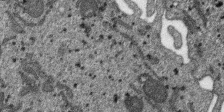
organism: Human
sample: Lung epithelial cells infected with SARS-CoV-2